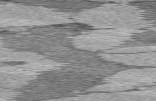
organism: C57BL Mouse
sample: Heart